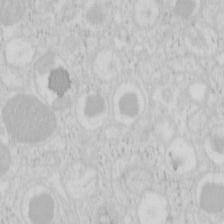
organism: Mouse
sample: Pancreas